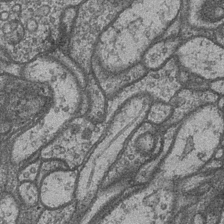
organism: Drosophila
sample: Optic medulla